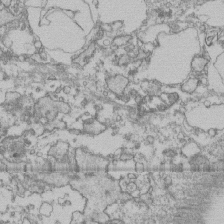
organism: Human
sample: Fibroblast cells